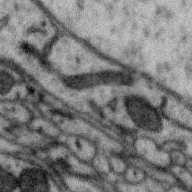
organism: Zebra finch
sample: Brain